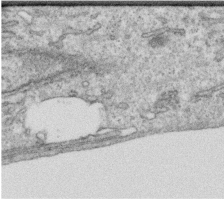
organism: Human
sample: Centriole in RPE cells